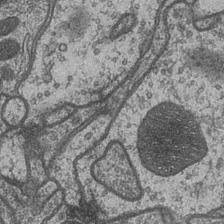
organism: Drosophila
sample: Optic medulla